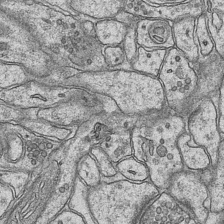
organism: Mouse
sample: CA1 Hippocampus